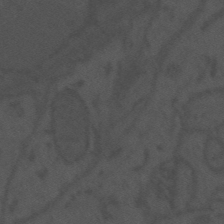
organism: Mouse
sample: Suprachiasmatic nucleus